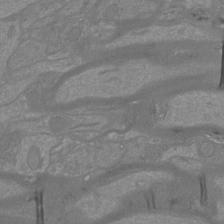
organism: Mouse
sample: Cortical neurons